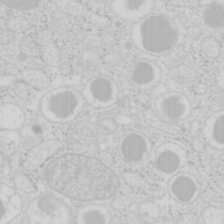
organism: Mouse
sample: Pancreas